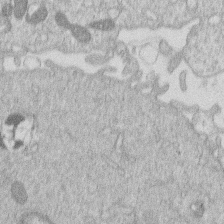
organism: Human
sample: Macrophage cells